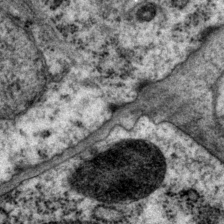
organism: P. pacificus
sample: Pharynx